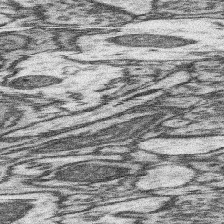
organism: Mouse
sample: Somatosensory cortex neuropil